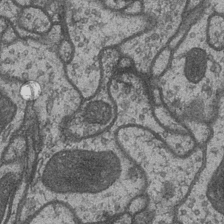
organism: Drosophila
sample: Optic medulla